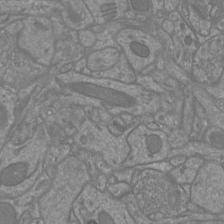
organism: Mouse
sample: Cortical neurons